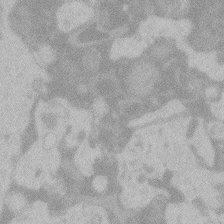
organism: Zebrafish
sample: Macrophage infected with Toxoplasma gondii